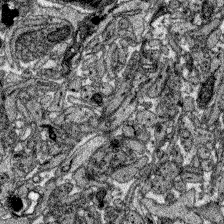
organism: Zebrafish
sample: Larval olfactory bulb